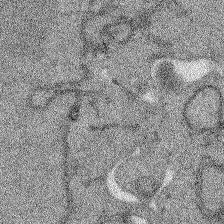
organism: Human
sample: HeLa cells